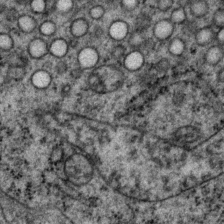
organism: P. pacificus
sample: Pharynx